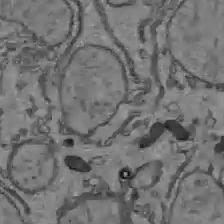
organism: C57BL Mouse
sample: Liver